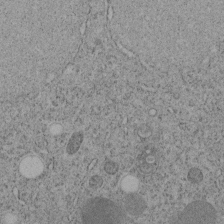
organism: C. elegans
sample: C. elegans embryo early stage